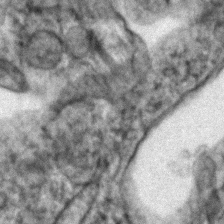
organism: Zebrafish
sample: Zebrafish embryo